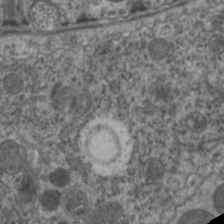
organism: C. elegans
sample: Pharynx